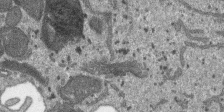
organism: Human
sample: Lung epithelial cells infected with SARS-CoV-2